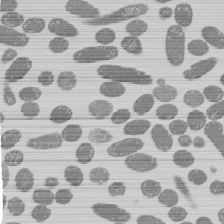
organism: E. coli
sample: Bacterial nucleoid